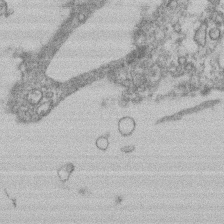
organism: Mouse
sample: T cell stromal cell synapse